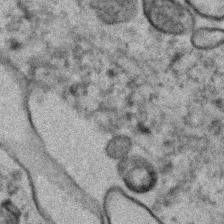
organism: Human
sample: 1205lu cells